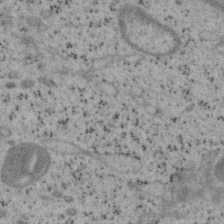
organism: Human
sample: HeLa cells